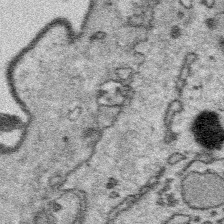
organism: Platynereis dumerilii